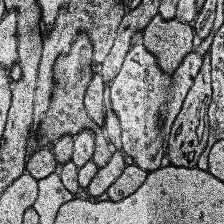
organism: Human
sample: Temporal Lobe